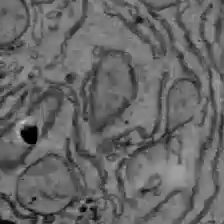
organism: C57BL Mouse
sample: Liver